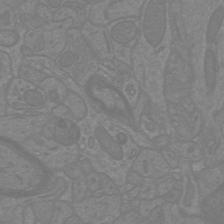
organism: Mouse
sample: Cortical neurons